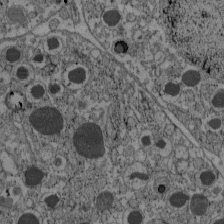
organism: C57BL Mouse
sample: Pancreatic islet